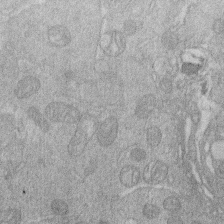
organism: Human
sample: Macrophage cells